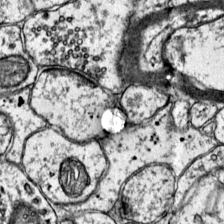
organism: Mouse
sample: Primary visual cortex